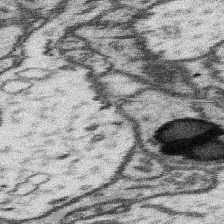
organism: Mouse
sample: Somatosensory cortex neuropil